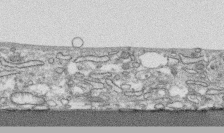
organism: Human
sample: CRL-1474